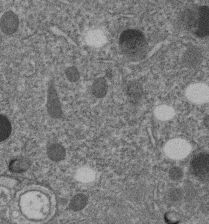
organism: C. elegans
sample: C. elegans embryo early stage